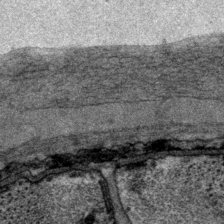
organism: P. pacificus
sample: Pharynx